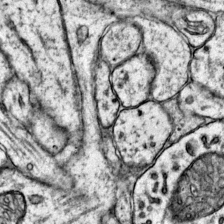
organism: Mouse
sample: Primary visual cortex